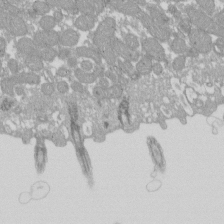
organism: Xenopus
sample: Cilia; centrioles in frog embryo cells